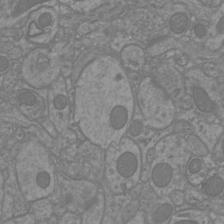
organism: Mouse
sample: Cortical neurons